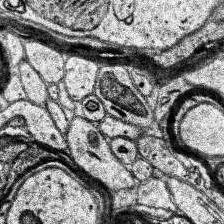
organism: Human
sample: Temporal Lobe